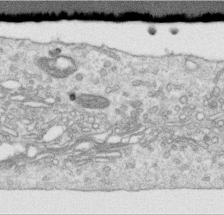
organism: Human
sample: Centriole in RPE cells